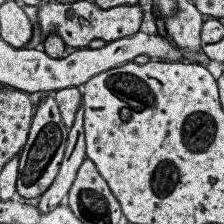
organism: Human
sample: Temporal Lobe